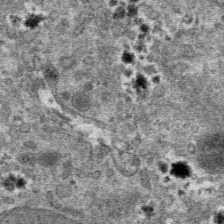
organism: Mouse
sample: Mouse hepatocytes